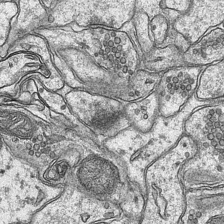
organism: Mouse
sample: CA1 Hippocampus